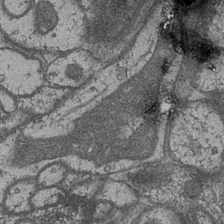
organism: Drosophila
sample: Optic medulla